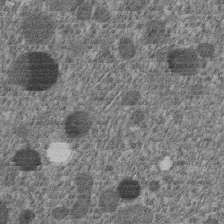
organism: C. elegans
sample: C. elegans embryo early stage